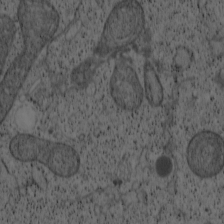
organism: African green monkey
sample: COS-7 cells